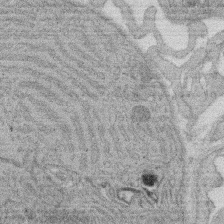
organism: Rat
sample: Salivary granule